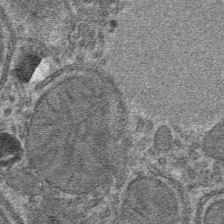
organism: Mouse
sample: Mouse hepatocytes